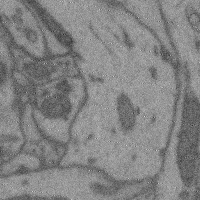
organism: Mouse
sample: Cerebral cortex